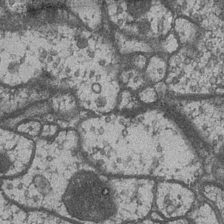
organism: Drosophila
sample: Optic medulla